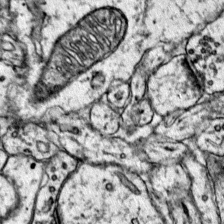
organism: Mouse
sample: Primary visual cortex